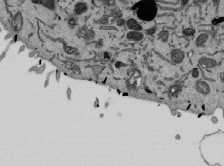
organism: Mouse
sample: ED-1 cell nuclei; centrioles